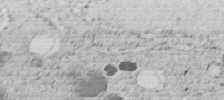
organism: C. elegans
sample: C. elegans embryo early stage